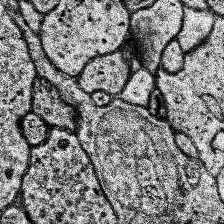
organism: Human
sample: Temporal Lobe